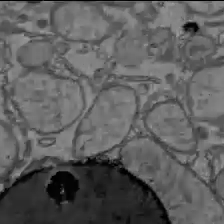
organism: C57BL Mouse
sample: Liver